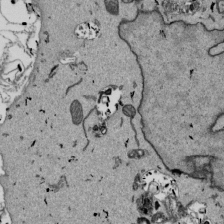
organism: Mouse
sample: ED-1 cell nuclei; centrioles